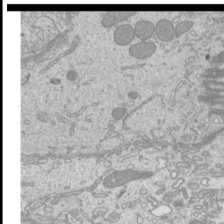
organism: Mouse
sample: Cilia; mouse epididymis